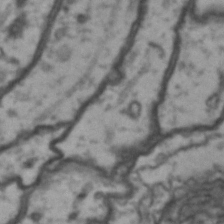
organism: Drosophila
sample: Brain